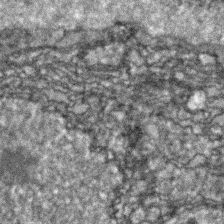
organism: Zebrafish